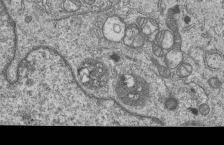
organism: Human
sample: MDA-MB-231 cells